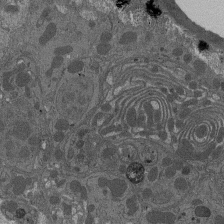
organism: Drosophila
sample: Antenna